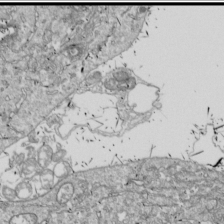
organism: Drosophila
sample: Cell division; meiosis; drosophila spermatocytes